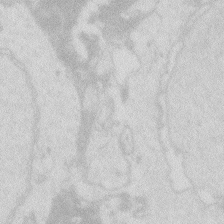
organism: Zebrafish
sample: Macrophage